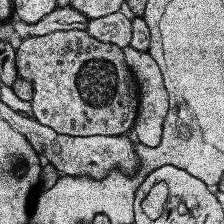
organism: Human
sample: Temporal Lobe